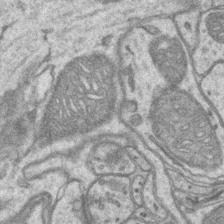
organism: Mouse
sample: CA1 Hippocampus